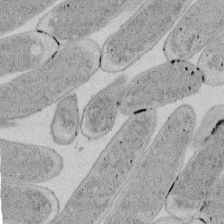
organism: E. coli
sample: Bacterial nucleoid